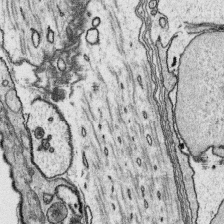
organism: Platynereis dumerilii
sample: Parapodia